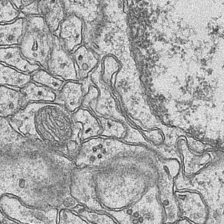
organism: Mouse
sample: CA1 Hippocampus